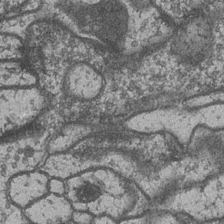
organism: Drosophila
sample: Optic medulla